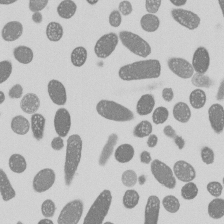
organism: E. coli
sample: Bacterial nucleoid